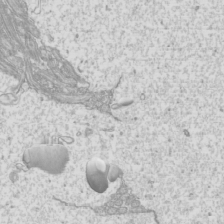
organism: Mouse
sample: Cilia; mouse epididymis